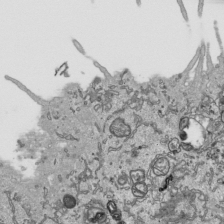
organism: Human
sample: Mitochondria in HCT116 cells